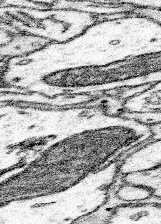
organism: Mouse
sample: Somatosensory cortex neuropil